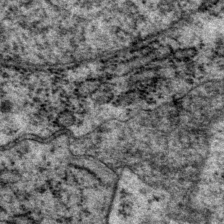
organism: P. pacificus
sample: Pharynx